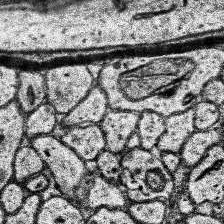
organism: Human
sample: Temporal Lobe